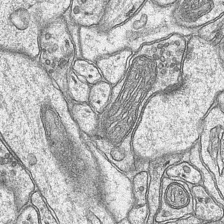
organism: Mouse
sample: CA1 Hippocampus